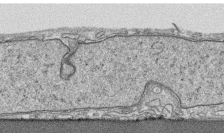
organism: Human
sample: CRL-1474